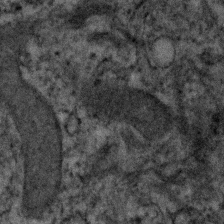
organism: Human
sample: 1205lu cells